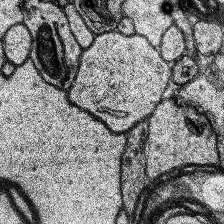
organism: Human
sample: Temporal Lobe